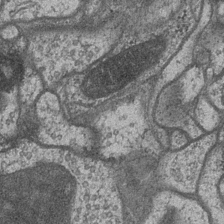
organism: Drosophila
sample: Optic medulla